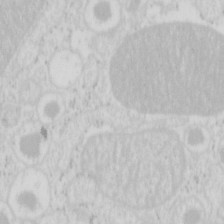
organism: Mouse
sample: Pancreas